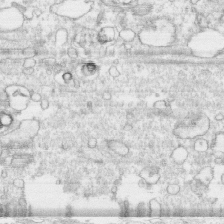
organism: Human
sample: CRL-1474